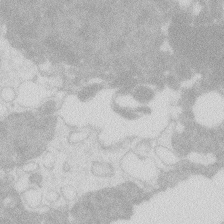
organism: Zebrafish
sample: Macrophage